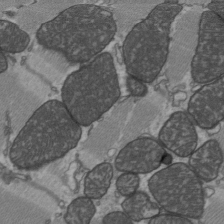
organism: C57BL Mouse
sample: Heart